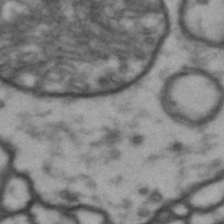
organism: Drosophila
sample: Brain